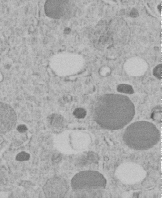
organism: C. elegans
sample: C. elegans embryo early stage